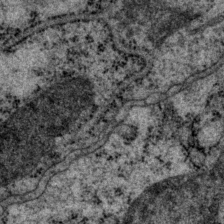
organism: P. pacificus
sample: Pharynx